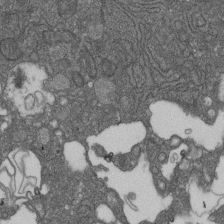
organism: Drosophila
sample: Nephrocyte